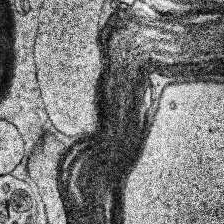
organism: Human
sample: Temporal Lobe